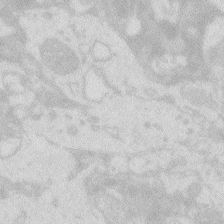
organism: Zebrafish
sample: Macrophage